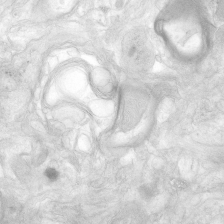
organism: Human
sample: Neocortex